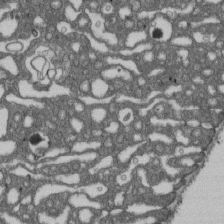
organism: Drosophila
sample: Nephrocyte